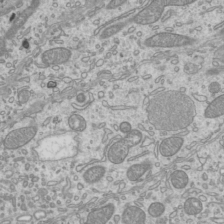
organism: Mouse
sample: Cilia; mouse epididymis